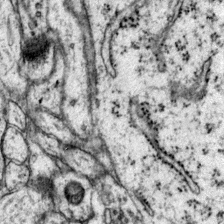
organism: Mouse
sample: Primary visual cortex